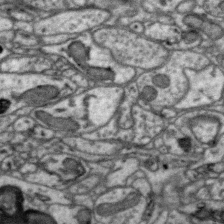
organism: Zebra finch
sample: Brain